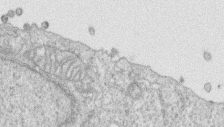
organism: Human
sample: HeLa cell HIV synapse